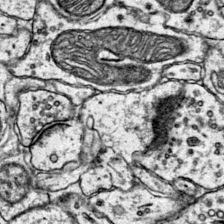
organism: Mouse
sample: Primary visual cortex